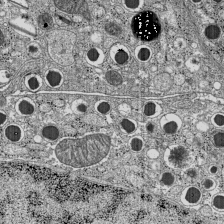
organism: C57BL Mouse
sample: Pancreatic islet